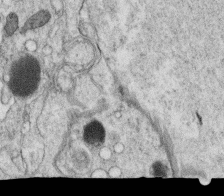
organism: C. elegans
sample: C. elegans oocyte; sperm cells